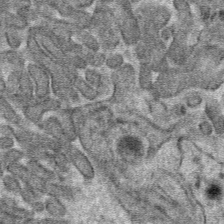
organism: Mouse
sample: Mouse hepatocytes